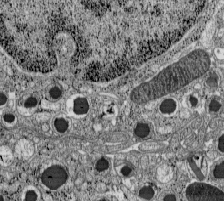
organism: C57BL Mouse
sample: Pancreatic islet